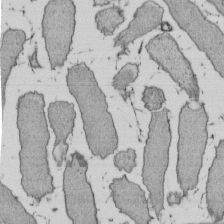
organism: E. coli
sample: Bacterial nucleoid